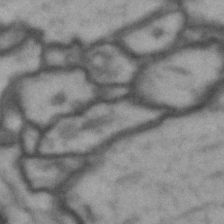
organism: Drosophila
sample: Brain